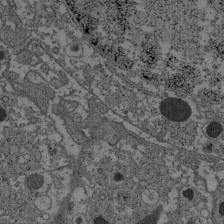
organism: C57BL Mouse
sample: Pancreatic islet